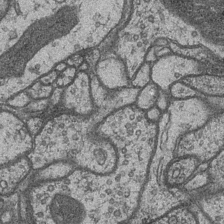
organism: Drosophila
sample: Optic medulla